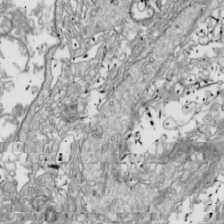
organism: Drosophila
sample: Cell division; meiosis; drosophila spermatocytes